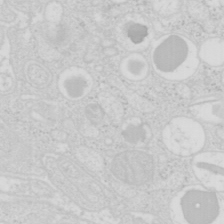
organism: Mouse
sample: Pancreas